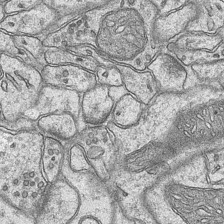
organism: Mouse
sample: CA1 Hippocampus